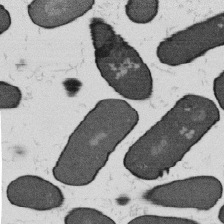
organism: B. subtilis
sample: Bacterial spore